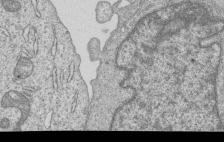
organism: Human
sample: MDA-MB-231 cells